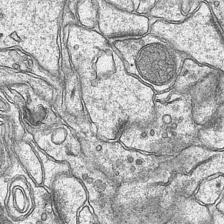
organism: Mouse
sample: CA1 Hippocampus